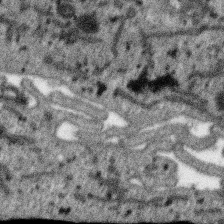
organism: Human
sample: Lung epithelial cells infected with SARS-CoV-2